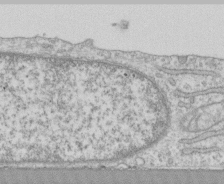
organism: Human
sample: CRL-1474